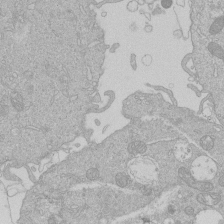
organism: Human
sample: Macrophage cells